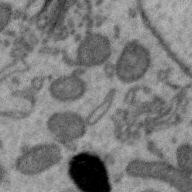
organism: Zebra finch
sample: Brain